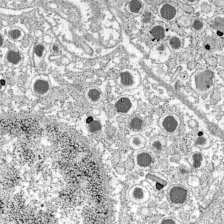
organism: C57BL Mouse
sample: Pancreatic islet